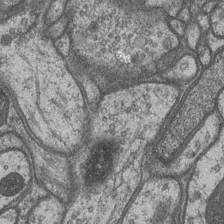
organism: Drosophila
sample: Optic medulla